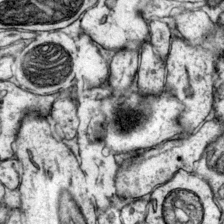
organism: Mouse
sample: Primary visual cortex